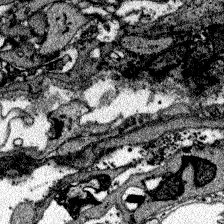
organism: Zebrafish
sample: Larval olfactory bulb